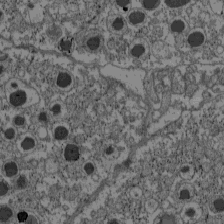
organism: C57BL Mouse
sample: Pancreatic islet